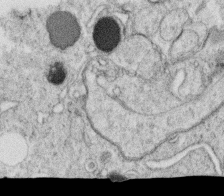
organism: C. elegans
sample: C. elegans oocyte; sperm cells